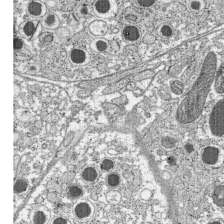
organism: C57BL Mouse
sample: Pancreatic islet